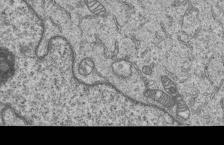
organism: Human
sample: MDA-MB-231 cells